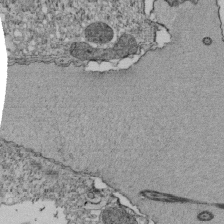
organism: Tetrahymena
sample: Cilia in tetrahymena